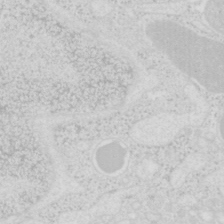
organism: Mouse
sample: Pancreas